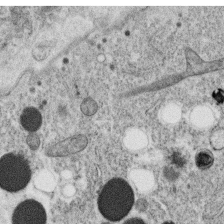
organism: C. elegans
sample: C. elegans oocyte; sperm cells